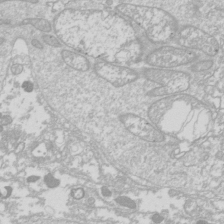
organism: Drosophila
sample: Cell division; meiosis; drosophila spermatocytes